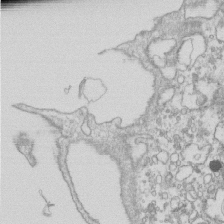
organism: Mouse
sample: Macrophages